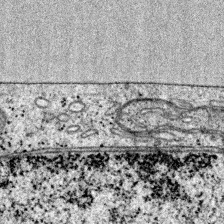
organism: Human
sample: HeLa cells